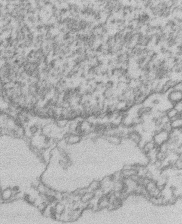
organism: Mouse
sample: T cell stromal cell synapse